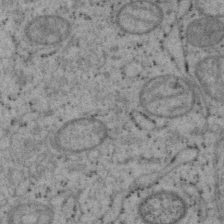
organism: Human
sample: HeLa cells